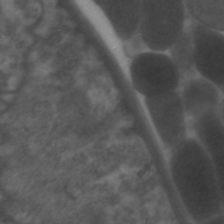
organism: C. elegans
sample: Pharynx